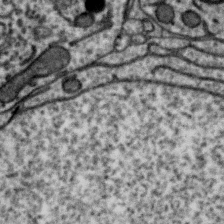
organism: Zebra finch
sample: Brain